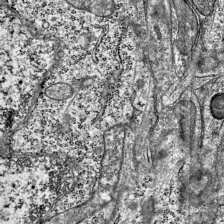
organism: Mouse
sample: Visual Cortex